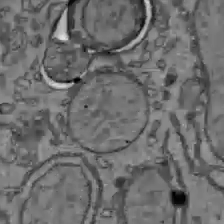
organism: C57BL Mouse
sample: Liver